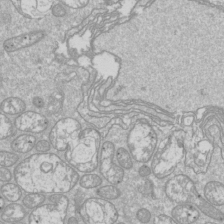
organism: Drosophila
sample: Cell division; meiosis; drosophila spermatocytes